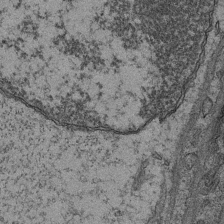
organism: Mouse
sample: CA1 Hippocampus